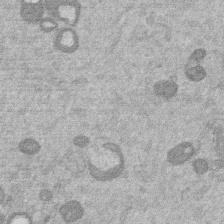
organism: Mouse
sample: Dividing mouse embryo 1 cell stage